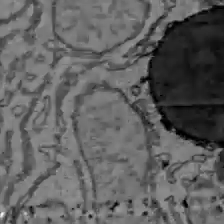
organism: C57BL Mouse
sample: Liver